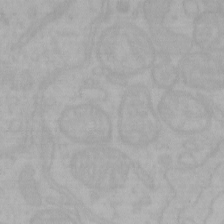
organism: Mouse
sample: Choroid plexus